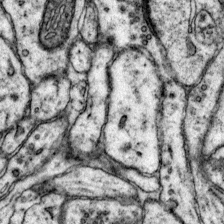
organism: Mouse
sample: Primary visual cortex